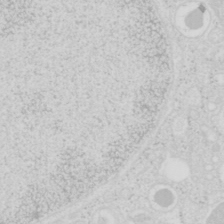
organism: Mouse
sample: Pancreas